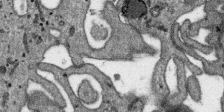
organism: Human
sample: Lung epithelial cells, uninfected (mock) control